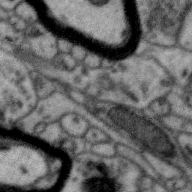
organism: Zebra finch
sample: Brain